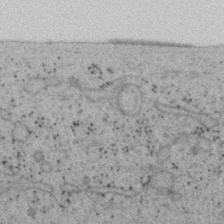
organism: Human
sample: HeLa cells